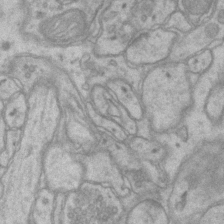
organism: Mouse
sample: CA1 Hippocampus